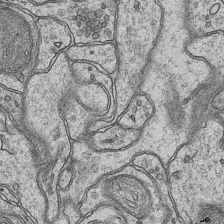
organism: Mouse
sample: CA1 Hippocampus